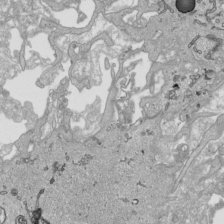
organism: Human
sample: Mitochondria in HCT116 cells